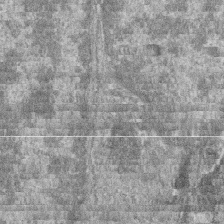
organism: Zebrafish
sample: Cilia; retinal pigment epithelium